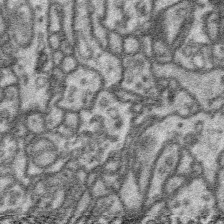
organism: Platynereis dumerilii